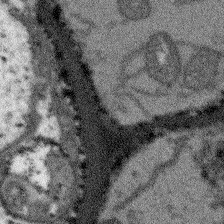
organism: Arabidopsis thaliana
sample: Root tip